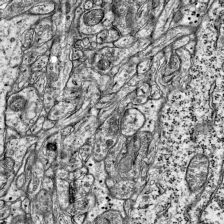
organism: Mouse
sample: Visual Cortex